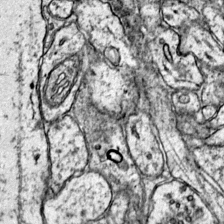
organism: Mouse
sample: Primary visual cortex